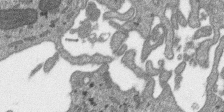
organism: Human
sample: Lung epithelial cells infected with SARS-CoV-2